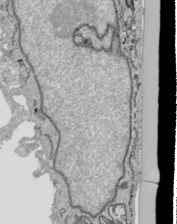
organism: Human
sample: Mitochondria in HCT116 cells